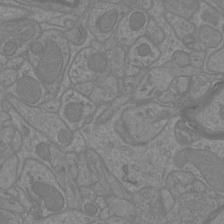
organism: Mouse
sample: Cortical neurons